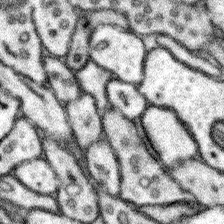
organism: Mouse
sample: Somatosensory cortex neuropil